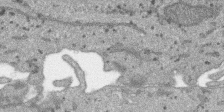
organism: Human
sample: Lung epithelial cells infected with SARS-CoV-2